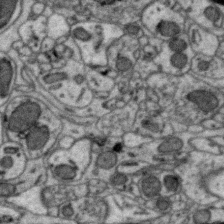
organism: Zebra finch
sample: Brain